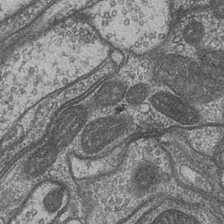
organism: Drosophila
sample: Optic medulla